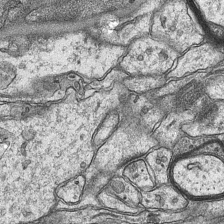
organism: Mouse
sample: CA1 Hippocampus